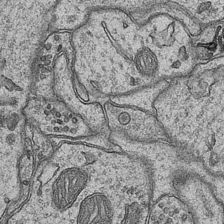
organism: Mouse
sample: CA1 Hippocampus